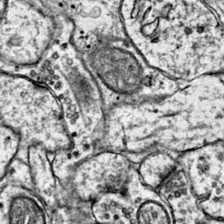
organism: Mouse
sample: Primary visual cortex